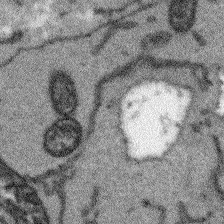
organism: Arabidopsis thaliana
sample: Root tip